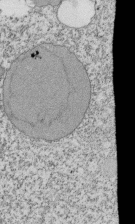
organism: Tetrahymena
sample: Cilia in tetrahymena